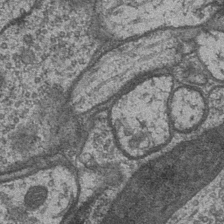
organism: Drosophila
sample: Optic medulla